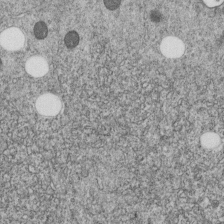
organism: C. elegans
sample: C. elegans embryo early stage